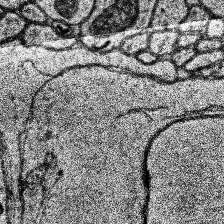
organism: Human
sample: Temporal Lobe